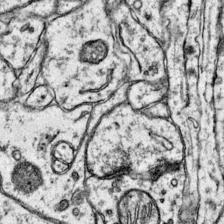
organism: Mouse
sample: Primary visual cortex